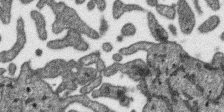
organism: Human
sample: Lung epithelial cells infected with SARS-CoV-2